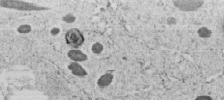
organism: C. elegans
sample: C. elegans embryo early stage